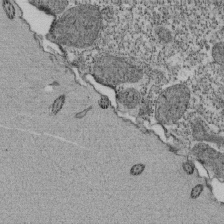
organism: Tetrahymena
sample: Cilia in tetrahymena